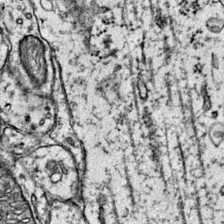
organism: Mouse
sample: Primary visual cortex